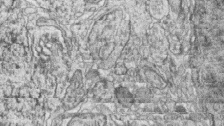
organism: Zebrafish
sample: synaptic ribbons in rod cells and cone cells